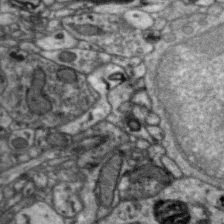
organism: Zebra finch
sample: Brain